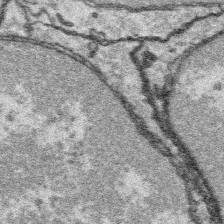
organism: Platynereis dumerilii